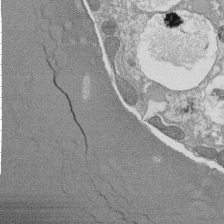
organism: Tetrahymena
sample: Cilia in tetrahymena